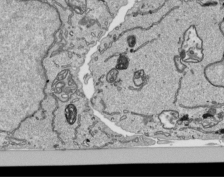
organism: Human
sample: Mitochondria in HCT116 cells